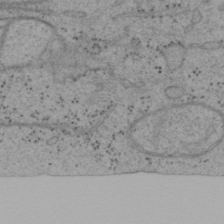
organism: Human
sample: HeLa cells